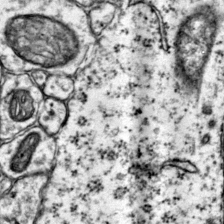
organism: Mouse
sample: Primary visual cortex